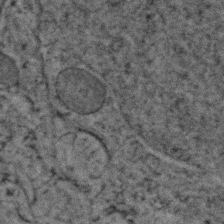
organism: Zebrafish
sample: Zebrafish embryo